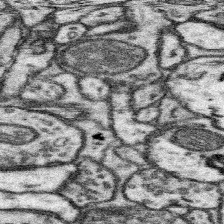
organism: Mouse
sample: Somatosensory cortex neuropil